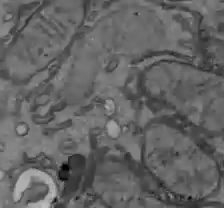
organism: C57BL Mouse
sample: Liver